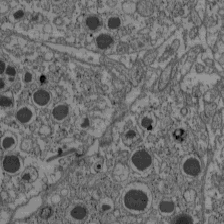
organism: C57BL Mouse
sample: Pancreatic islet